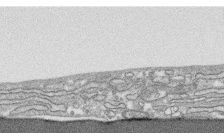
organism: Human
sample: CRL-1474